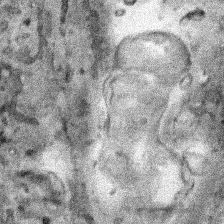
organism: Human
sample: Mitochondria in HCT116 cells